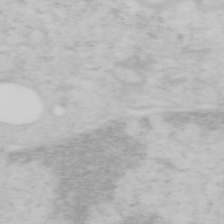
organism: Mouse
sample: OT-I killer T cells with ID8 ovarian cancer cells